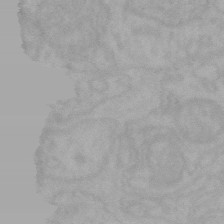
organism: Mouse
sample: Choroid plexus